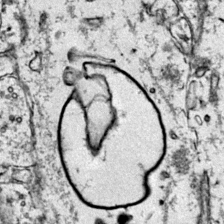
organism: Mouse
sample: Primary visual cortex